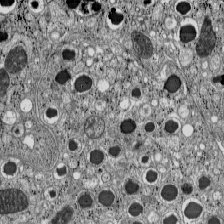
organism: C57BL Mouse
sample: Pancreatic islet